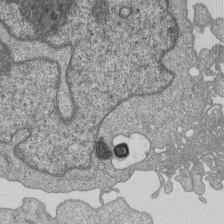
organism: Human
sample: MDA-MB-231 cells